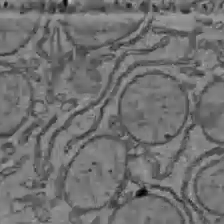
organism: C57BL Mouse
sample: Liver